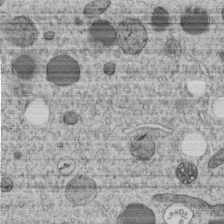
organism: C. elegans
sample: C. elegans embryo early stage